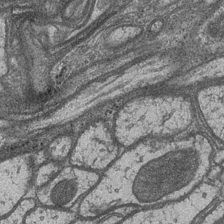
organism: Drosophila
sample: Optic medulla